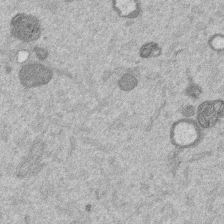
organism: Mouse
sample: Dividing mouse embryo 1 cell stage